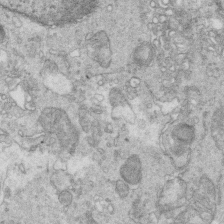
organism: Mouse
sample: Multiciliated cells